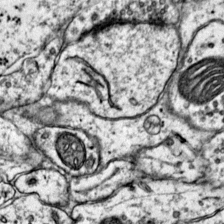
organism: Mouse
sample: Primary visual cortex